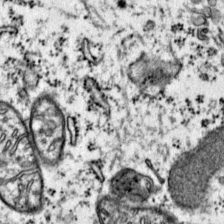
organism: Mouse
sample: Primary visual cortex